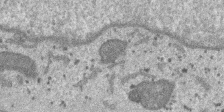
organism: Human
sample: Lung epithelial cells infected with SARS-CoV-2